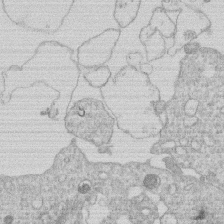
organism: Human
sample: Macrophage cells